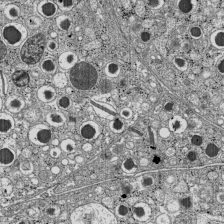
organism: C57BL Mouse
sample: Pancreatic islet